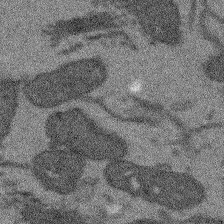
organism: Arabidopsis thaliana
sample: Root tip